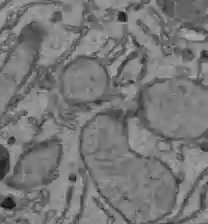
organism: C57BL Mouse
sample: Liver